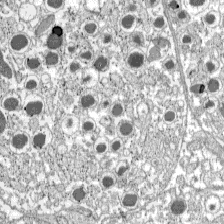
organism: C57BL Mouse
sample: Pancreatic islet